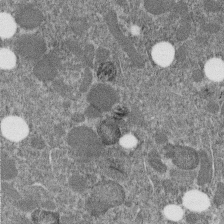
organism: C. elegans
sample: C. elegans embryo early stage